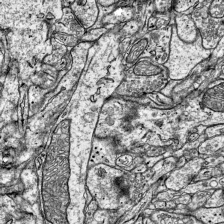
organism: Mouse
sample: Visual Cortex